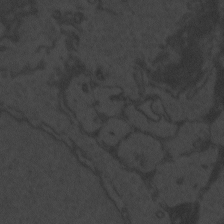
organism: Zebrafish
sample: Macrophage infected with Toxoplasma gondii